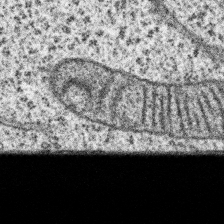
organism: Human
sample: HeLa cells